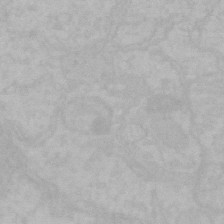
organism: Mouse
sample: Choroid plexus